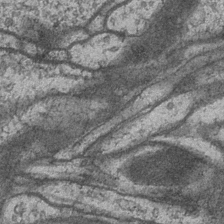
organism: Drosophila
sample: Optic medulla